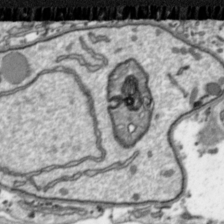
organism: Toxoplasma gondii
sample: Parasites in a vacuole inside a host cell